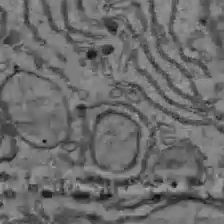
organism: C57BL Mouse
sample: Liver